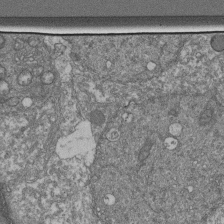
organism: Human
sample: Retinal organoid Rod and Cone cells